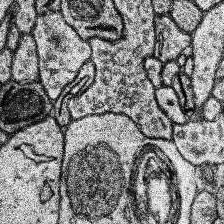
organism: Human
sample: Temporal Lobe